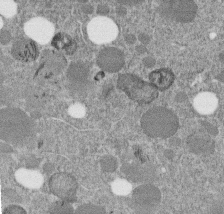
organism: C. elegans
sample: C. elegans embryo early stage